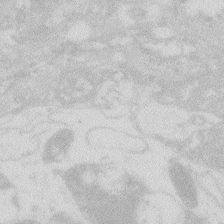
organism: Zebrafish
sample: Macrophage